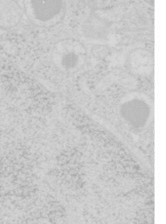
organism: Mouse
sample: Pancreas